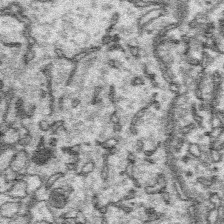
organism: Platynereis dumerilii